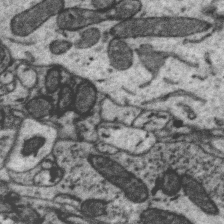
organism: Zebra finch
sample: Brain